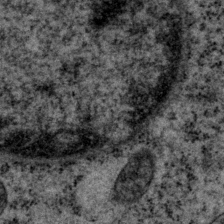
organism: P. pacificus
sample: Pharynx